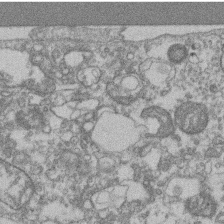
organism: Mouse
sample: T cell stromal cell synapse